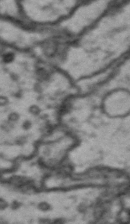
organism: Drosophila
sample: Brain